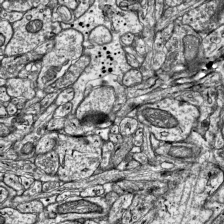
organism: Mouse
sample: Visual Cortex